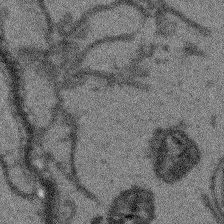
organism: Arabidopsis thaliana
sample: Root tip